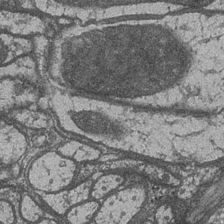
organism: Drosophila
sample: Optic medulla